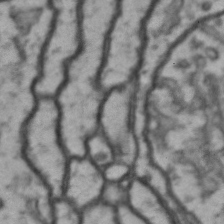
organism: Drosophila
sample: Brain